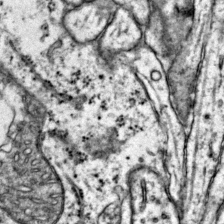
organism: Mouse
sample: Primary visual cortex